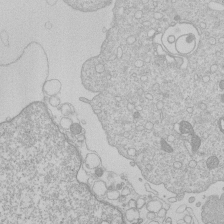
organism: Human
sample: Macrophage cells